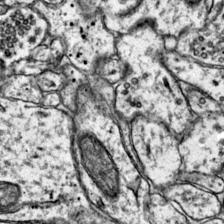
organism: Mouse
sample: Primary visual cortex